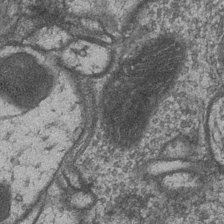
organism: Drosophila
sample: Optic medulla